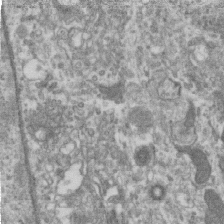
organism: Human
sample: Centriole in RPE cells